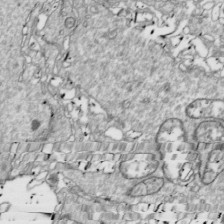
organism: Drosophila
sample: Cell division; meiosis; drosophila spermatocytes